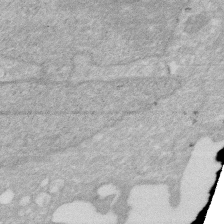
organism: Human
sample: HIV infected U937 cells